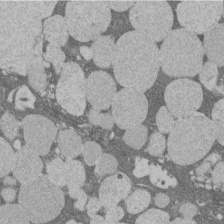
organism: Rat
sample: Salivary granule